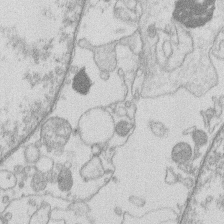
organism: Human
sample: Macrophage cells